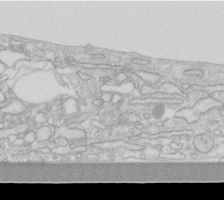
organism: Human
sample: Fibroblast cells